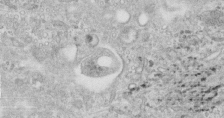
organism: Human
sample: Centriole in fibroblast cells